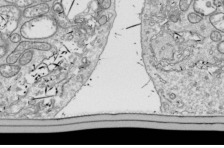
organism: Drosophila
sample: Cell division; meiosis; drosophila spermatocytes